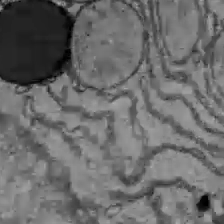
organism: C57BL Mouse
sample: Liver